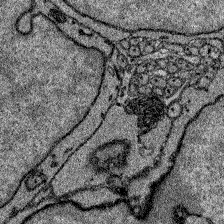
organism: Zebrafish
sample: Larval olfactory bulb